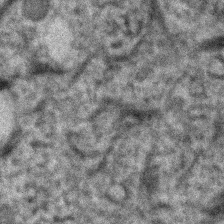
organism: Human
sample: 1205lu cells